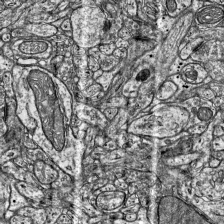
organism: Mouse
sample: Visual Cortex